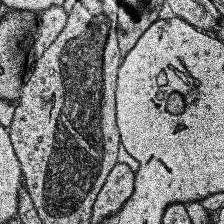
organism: Human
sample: Temporal Lobe